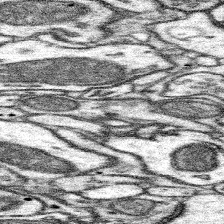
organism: Mouse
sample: Somatosensory cortex neuropil